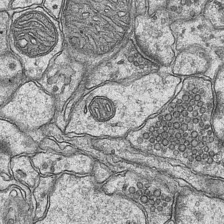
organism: Mouse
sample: CA1 Hippocampus